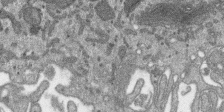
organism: Human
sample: Lung epithelial cells infected with SARS-CoV-2